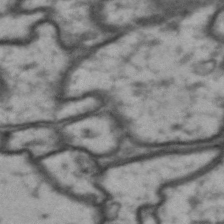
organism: Drosophila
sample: Brain